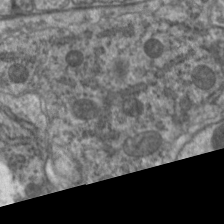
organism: C. elegans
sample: Pharynx